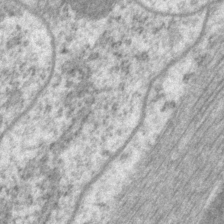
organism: P. pacificus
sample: Pharynx